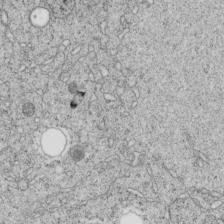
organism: C. elegans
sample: C. elegans embryo early stage